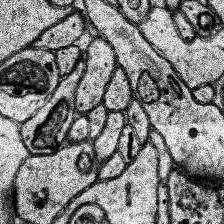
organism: Human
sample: Temporal Lobe